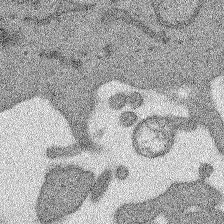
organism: Human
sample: HeLa cells